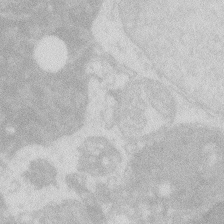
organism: Zebrafish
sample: Macrophage